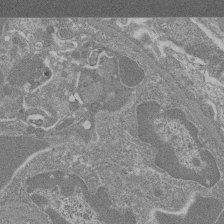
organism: Mouse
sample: Glomerulus